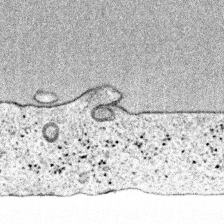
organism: Human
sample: HeLa cells